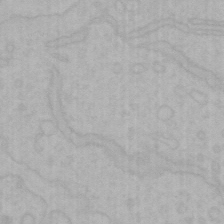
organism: Mouse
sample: Choroid plexus